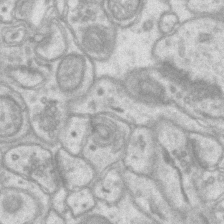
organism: Mouse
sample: CA1 Hippocampus